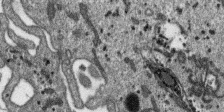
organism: Human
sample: Lung epithelial cells infected with SARS-CoV-2